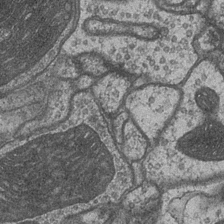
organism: Drosophila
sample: Optic medulla